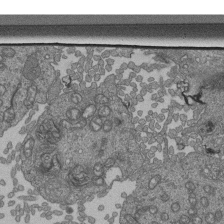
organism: Human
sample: Retinal organoid Rod and Cone cells